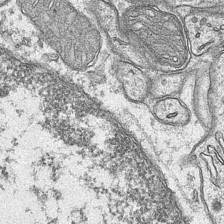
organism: Mouse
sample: CA1 Hippocampus